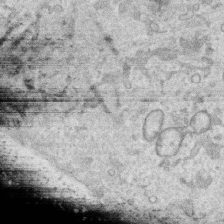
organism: Human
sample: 1205lu cells